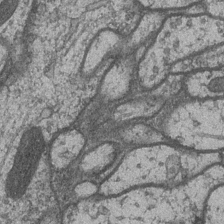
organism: Drosophila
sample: Optic medulla